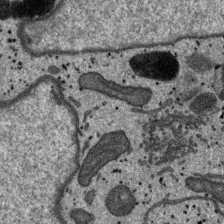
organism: Human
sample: Lung epithelial cells, uninfected (mock) control